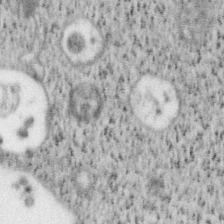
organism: Mouse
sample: OT-I killer T cells with ID8 ovarian cancer cells